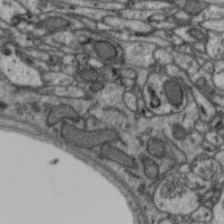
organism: Zebra finch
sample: Brain